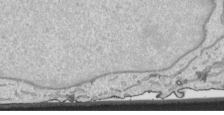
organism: Human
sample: Mitochondria in HCT116 cells